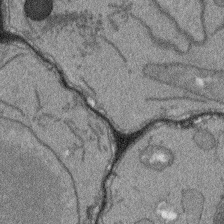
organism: Arabidopsis thaliana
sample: Root tip